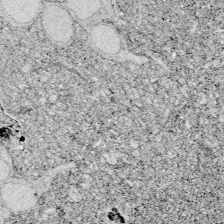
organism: Zebrafish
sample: Whole-Brain